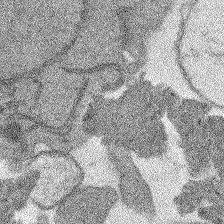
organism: Human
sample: HeLa cells